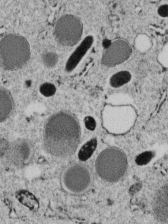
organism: C. elegans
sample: C. elegans embryo early stage